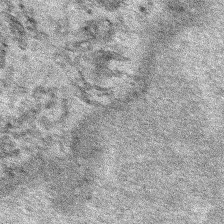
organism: Human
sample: Mitochondria in HCT116 cells